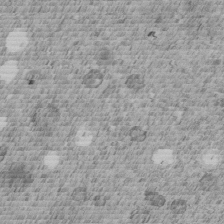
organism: C. elegans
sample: C. elegans embryo early stage